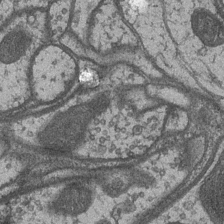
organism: Drosophila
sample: Optic medulla